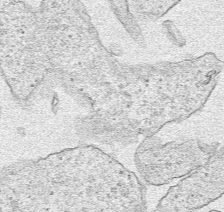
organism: Human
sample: Mitochondria in HCT116 cells